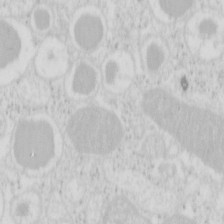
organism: Mouse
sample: Pancreas